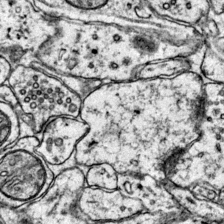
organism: Mouse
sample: Primary visual cortex